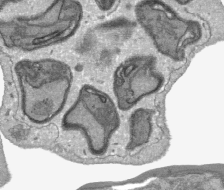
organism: Plasmodium falciparum